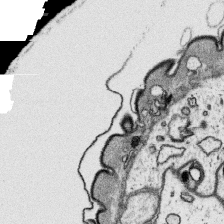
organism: Platynereis dumerilii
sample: Parapodia